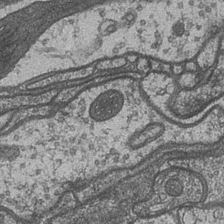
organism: Drosophila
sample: Optic medulla